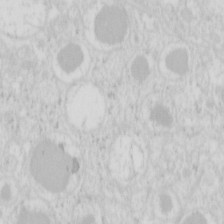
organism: Mouse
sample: Pancreas